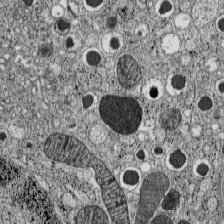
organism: C57BL Mouse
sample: Pancreatic islet